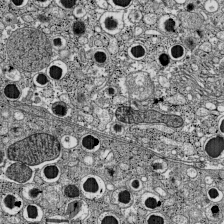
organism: C57BL Mouse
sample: Pancreatic islet